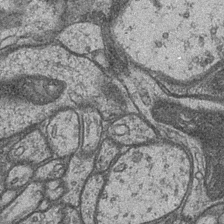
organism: Drosophila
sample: Optic medulla